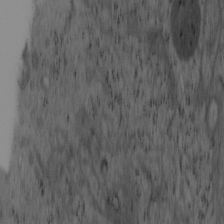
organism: Human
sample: HeLa cells